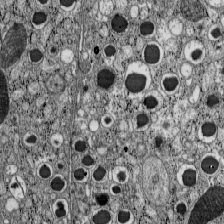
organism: C57BL Mouse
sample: Pancreatic islet